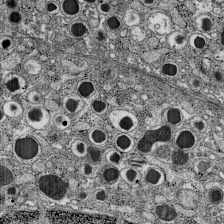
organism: C57BL Mouse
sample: Pancreatic islet